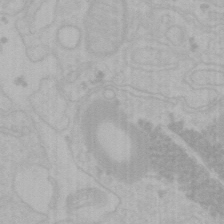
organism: Mouse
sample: Choroid plexus